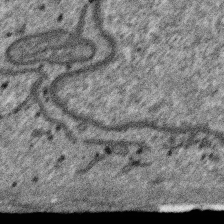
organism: Human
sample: Lung epithelial cells infected with SARS-CoV-2